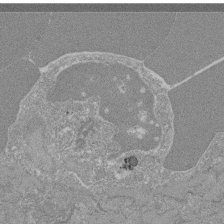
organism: Mouse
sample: Glomerulus